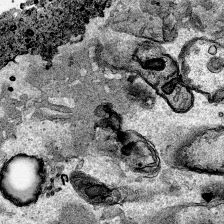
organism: Human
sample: Mitochondria in HCT116 cells